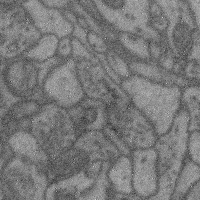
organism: Mouse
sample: Cerebral cortex